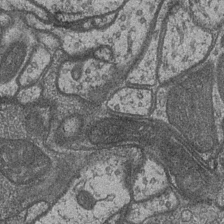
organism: Drosophila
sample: Optic medulla